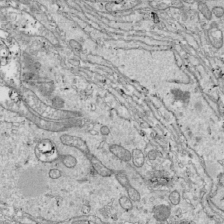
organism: Drosophila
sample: Cell division; meiosis; drosophila spermatocytes